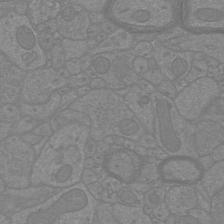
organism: Mouse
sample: Cortical neurons